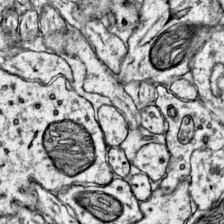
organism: Mouse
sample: Primary visual cortex